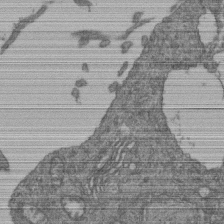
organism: Human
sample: Retinal organoid Rod and Cone cells